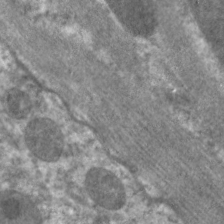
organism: C. elegans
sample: Pharynx